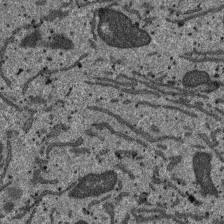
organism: Human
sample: Lung epithelial cells infected with SARS-CoV-2